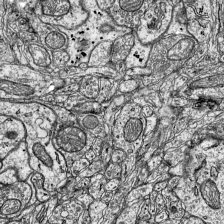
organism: Mouse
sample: Visual Cortex